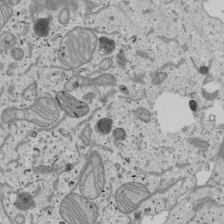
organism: Human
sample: Mitochondria in U2OS cells